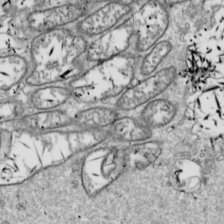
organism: Drosophila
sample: Cell division; meiosis; drosophila spermatocytes